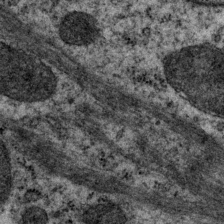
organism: P. pacificus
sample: Pharynx